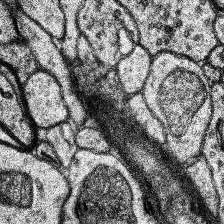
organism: Human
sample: Temporal Lobe